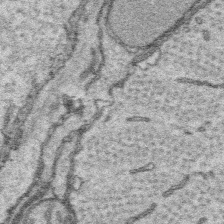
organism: Platynereis dumerilii